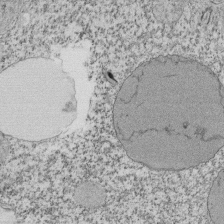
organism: Tetrahymena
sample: Cilia in tetrahymena